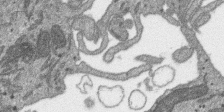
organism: Human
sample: Lung epithelial cells infected with SARS-CoV-2